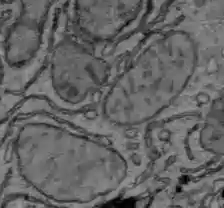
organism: C57BL Mouse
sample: Liver